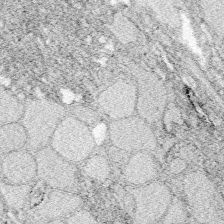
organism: Zebrafish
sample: Whole-Brain